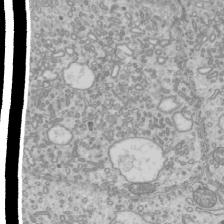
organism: Mouse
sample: Cilia; mouse epididymis